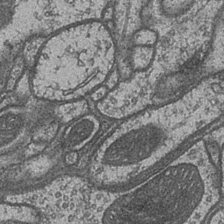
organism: Drosophila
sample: Optic medulla